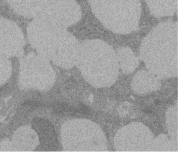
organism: Rat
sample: Salivary granule